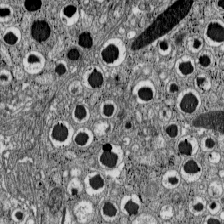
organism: C57BL Mouse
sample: Pancreatic islet